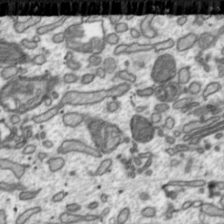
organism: Toxoplasma gondii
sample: Parasites in a vacuole inside a host cell